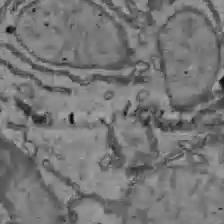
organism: C57BL Mouse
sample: Liver